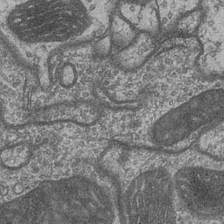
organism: Drosophila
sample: Optic medulla